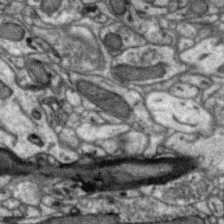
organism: Zebra finch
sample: Brain